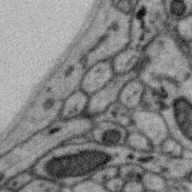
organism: Zebra finch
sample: Brain